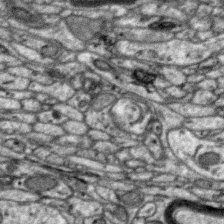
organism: Zebra finch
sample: Brain